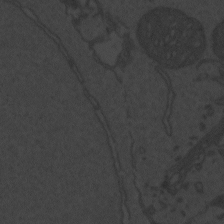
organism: Zebrafish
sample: Macrophage infected with Toxoplasma gondii